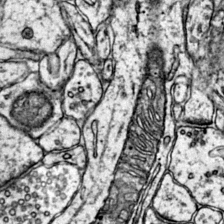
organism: Mouse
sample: Primary visual cortex